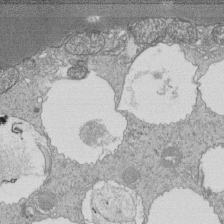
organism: Tetrahymena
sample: Cilia in tetrahymena